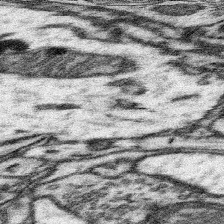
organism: Mouse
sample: Somatosensory cortex neuropil